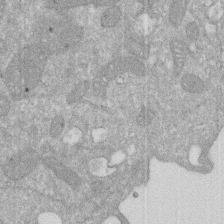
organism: Human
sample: HIV infected U937 cells